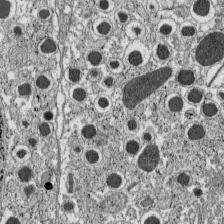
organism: C57BL Mouse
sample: Pancreatic islet